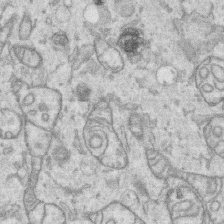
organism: Human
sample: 1205lu cells